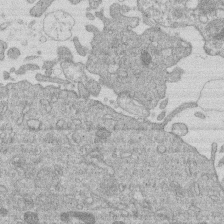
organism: Human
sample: Macrophage cells